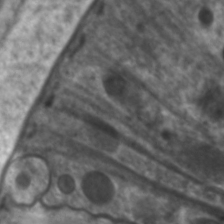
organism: C. elegans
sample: Pharynx